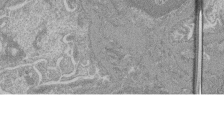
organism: Mouse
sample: Glomerulus